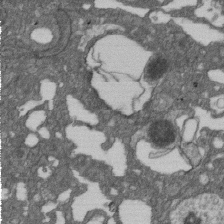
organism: Drosophila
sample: Nephrocyte